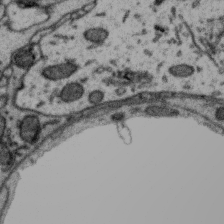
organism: Zebra finch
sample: Brain